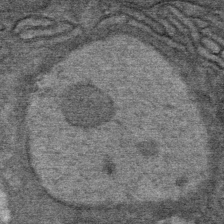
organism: Mouse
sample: Mouse Salivary gland